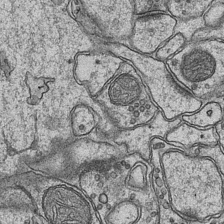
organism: Mouse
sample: CA1 Hippocampus